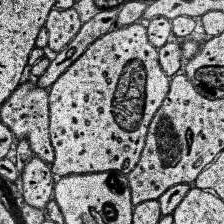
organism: Human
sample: Temporal Lobe